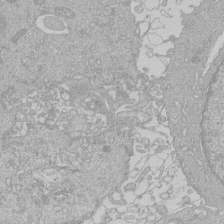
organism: Human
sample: Macrophage cells